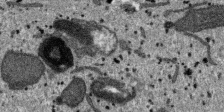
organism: Human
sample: Lung epithelial cells, uninfected (mock) control